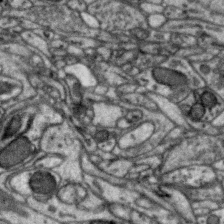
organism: Zebra finch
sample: Brain